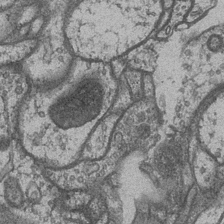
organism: Drosophila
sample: Optic medulla